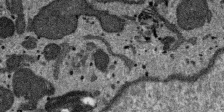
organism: Human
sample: Lung epithelial cells, uninfected (mock) control